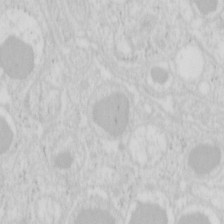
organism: Mouse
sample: Pancreas